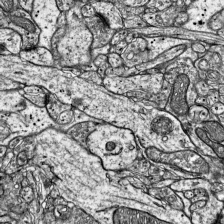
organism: Mouse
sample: Visual Cortex